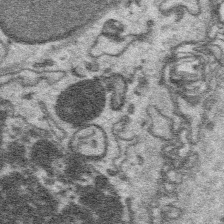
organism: Platynereis dumerilii